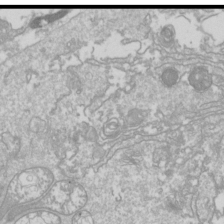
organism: Drosophila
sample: Cell division; meiosis; drosophila spermatocytes